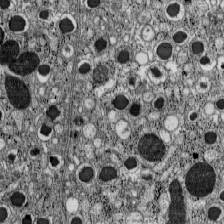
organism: C57BL Mouse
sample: Pancreatic islet